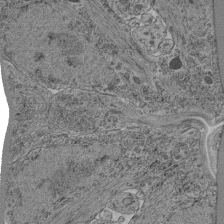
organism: C. elegans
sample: C. elegans pharynx